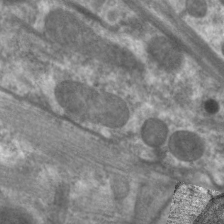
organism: C. elegans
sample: Pharynx